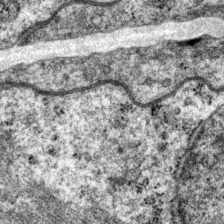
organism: P. pacificus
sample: Pharynx